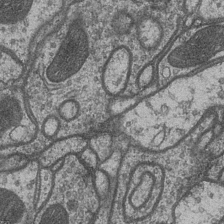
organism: Drosophila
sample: Optic medulla